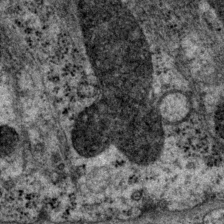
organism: P. pacificus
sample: Pharynx